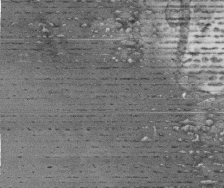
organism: Human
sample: Centriole in fibroblast cells